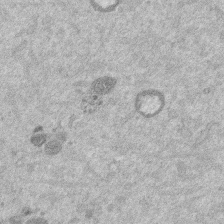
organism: Mouse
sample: Dividing mouse embryo 1 cell stage